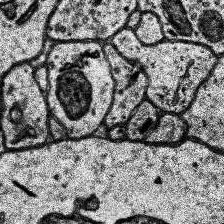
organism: Human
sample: Temporal Lobe